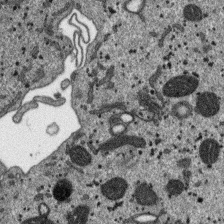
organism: Human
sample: Lung epithelial cells infected with SARS-CoV-2